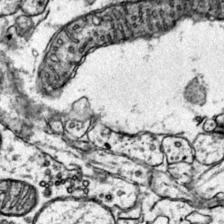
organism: Mouse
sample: Primary visual cortex